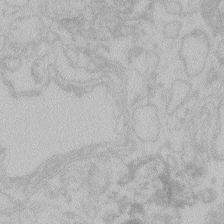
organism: Zebrafish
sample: Macrophage infected with Toxoplasma gondii